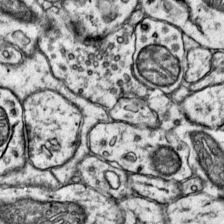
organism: Mouse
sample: Primary visual cortex